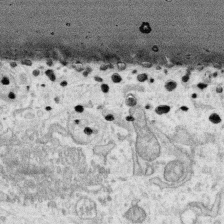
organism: Human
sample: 1205lu cells